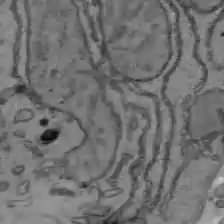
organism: C57BL Mouse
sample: Liver